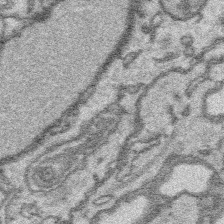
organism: Platynereis dumerilii